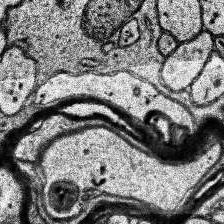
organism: Human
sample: Temporal Lobe